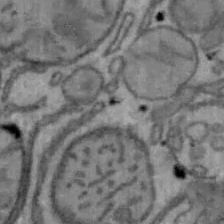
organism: Mouse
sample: Liver